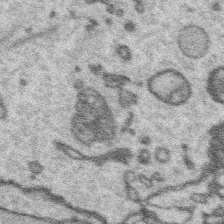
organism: Platynereis dumerilii